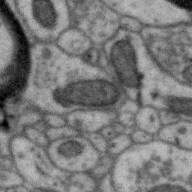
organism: Zebra finch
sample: Brain